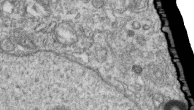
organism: Human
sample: HeLa cell HIV synapse